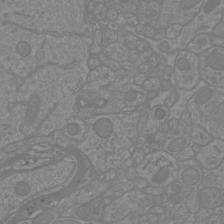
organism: Mouse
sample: Cortical neurons